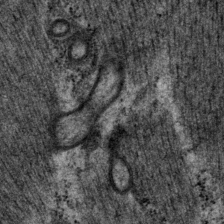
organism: P. pacificus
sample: Pharynx